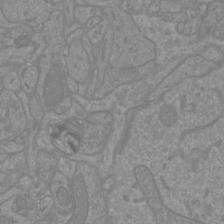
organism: Mouse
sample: Cortical neurons